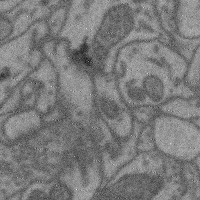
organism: Mouse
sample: Cerebral cortex